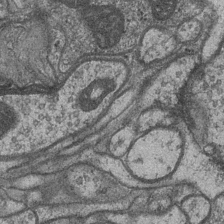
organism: Drosophila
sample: Optic medulla